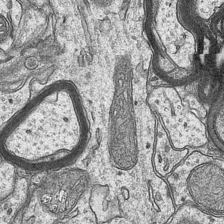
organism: Mouse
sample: CA1 Hippocampus